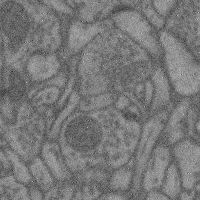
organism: Mouse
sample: Cerebral cortex